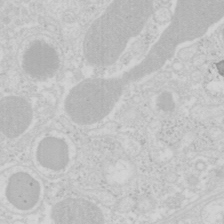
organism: Mouse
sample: Pancreas